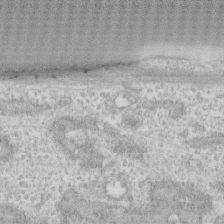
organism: Human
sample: CRL-1474